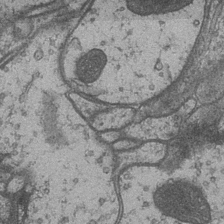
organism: Drosophila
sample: Optic medulla